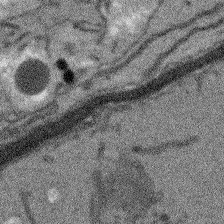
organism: Arabidopsis thaliana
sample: Root tip